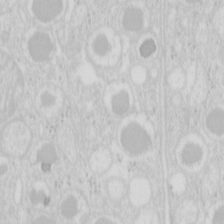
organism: Mouse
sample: Pancreas